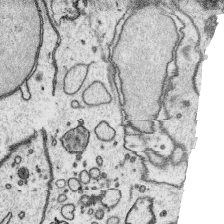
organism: Platynereis dumerilii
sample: Parapodia